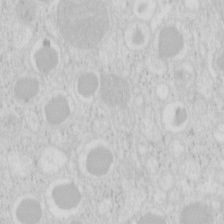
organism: Mouse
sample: Pancreas